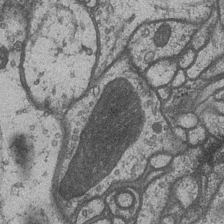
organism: Drosophila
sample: Optic medulla